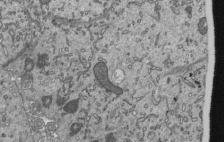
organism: Mouse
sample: Mouse epididymis efferent ductule cilia